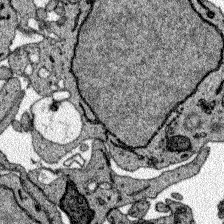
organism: Zebrafish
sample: Larval olfactory bulb